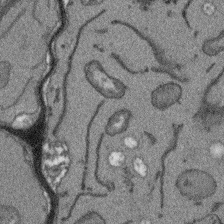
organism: Arabidopsis thaliana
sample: Root tip